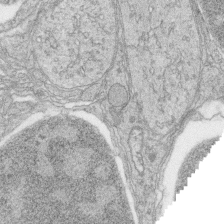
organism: Zebrafish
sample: synaptic ribbons in rod cells and cone cells